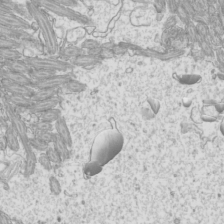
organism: Mouse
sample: Cilia; mouse epididymis